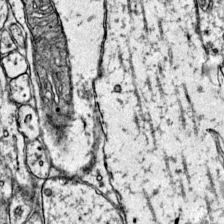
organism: Mouse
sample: Primary visual cortex